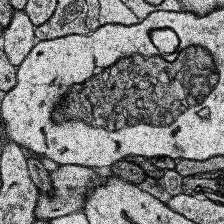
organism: Human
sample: Temporal Lobe